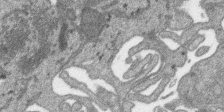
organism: Human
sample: Lung epithelial cells infected with SARS-CoV-2